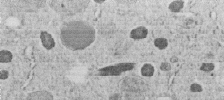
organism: C. elegans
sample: C. elegans embryo early stage